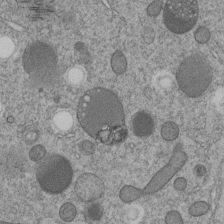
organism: C. elegans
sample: C. elegans embryo early stage